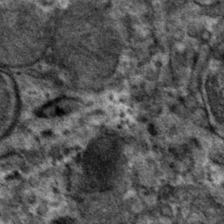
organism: Mouse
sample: Mouse hepatocytes